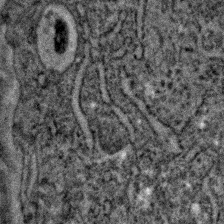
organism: C. elegans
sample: C. elegans embryo